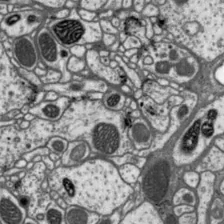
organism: Drosophila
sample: Protocerebral bridge